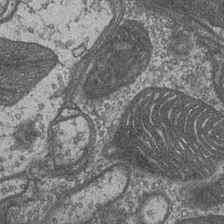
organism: Drosophila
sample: Optic medulla